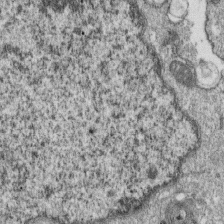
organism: African green monkey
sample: Vero E6 cells infected with SARS-CoV-2